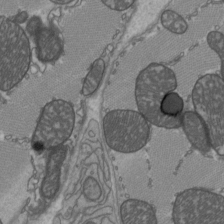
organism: C57BL Mouse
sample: Heart